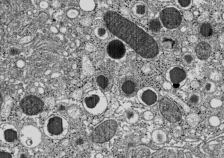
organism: C57BL Mouse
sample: Pancreatic islet